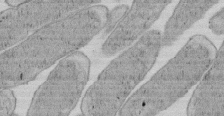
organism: E. coli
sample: Bacterial nucleoid